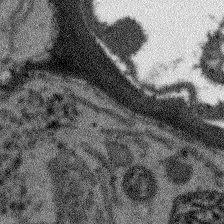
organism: Arabidopsis thaliana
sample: Root tip